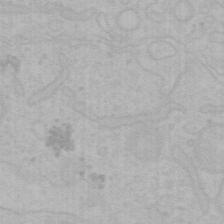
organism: Mouse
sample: Choroid plexus